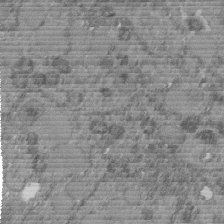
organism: C. elegans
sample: C. elegans embryo early stage